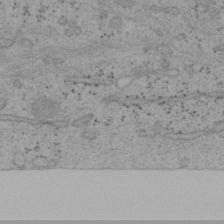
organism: Human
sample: HeLa cells